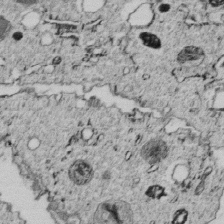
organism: C. elegans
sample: C. elegans embryo early stage